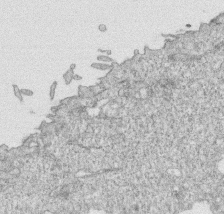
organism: Human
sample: HeLa cell HIV synapse